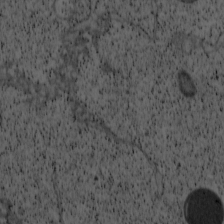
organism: African green monkey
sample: COS-7 cells